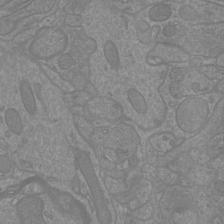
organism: Mouse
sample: Cortical neurons